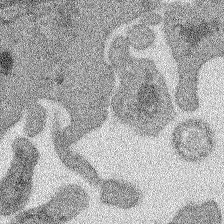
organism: Human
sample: HeLa cells